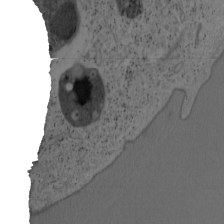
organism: Mouse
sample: OT-I killer T cells with ID8 ovarian cancer cells